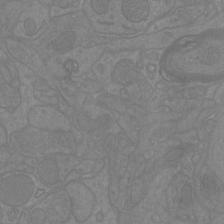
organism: Mouse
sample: Cortical neurons